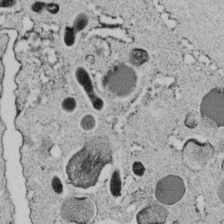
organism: C. elegans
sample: C. elegans embryo early stage